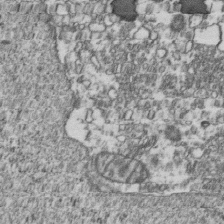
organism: Human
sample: Activated Jurkat CD4+ T cells